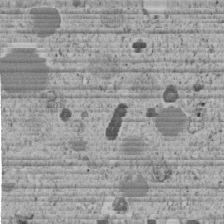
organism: C. elegans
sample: C. elegans embryo early stage